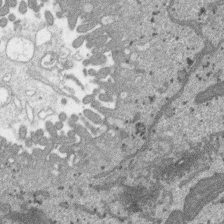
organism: Human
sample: Lung epithelial cells infected with SARS-CoV-2